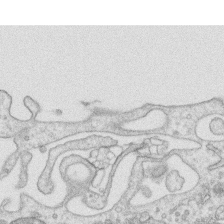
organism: Human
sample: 1205lu cells